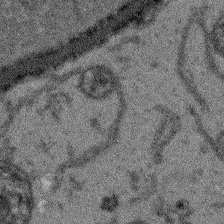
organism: Arabidopsis thaliana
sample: Root tip